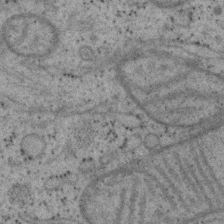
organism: Human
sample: HeLa cells